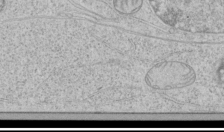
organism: Human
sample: Mitochondria in HCT116 cells